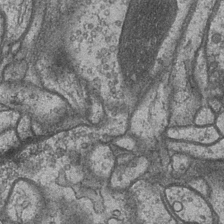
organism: Drosophila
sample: Optic medulla